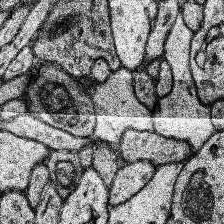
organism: Human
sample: Temporal Lobe